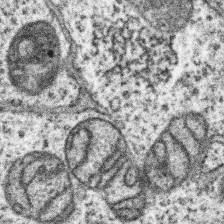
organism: Human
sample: HeLa cells